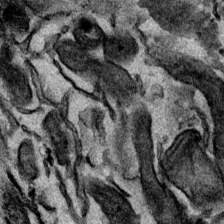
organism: Mouse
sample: Cancer cell death in ED-1 cells